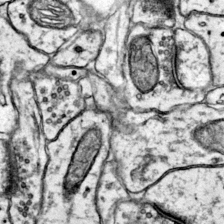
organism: Mouse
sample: Primary visual cortex